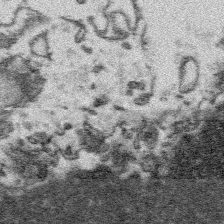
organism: Platynereis dumerilii